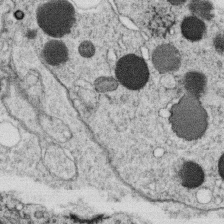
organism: C. elegans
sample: C. elegans oocyte; sperm cells